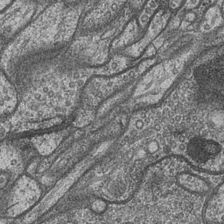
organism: Drosophila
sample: Optic medulla